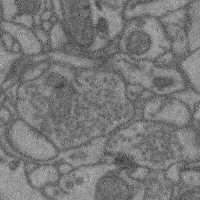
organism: Mouse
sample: Cerebral cortex